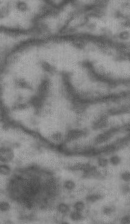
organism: Drosophila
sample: Brain